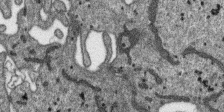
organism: Human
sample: Lung epithelial cells infected with SARS-CoV-2